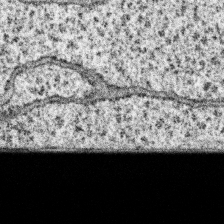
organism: Human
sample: HeLa cells